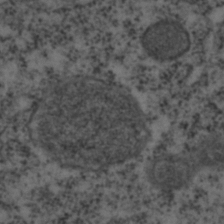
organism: C. elegans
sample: C. elegans embryo